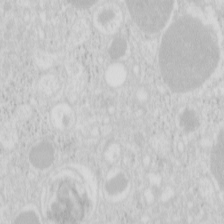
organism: Mouse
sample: Pancreas